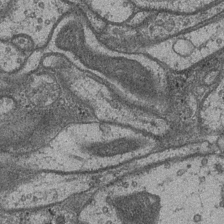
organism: Drosophila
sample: Optic medulla